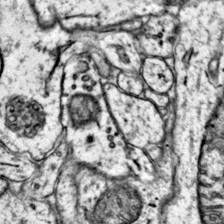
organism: Mouse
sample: Primary visual cortex